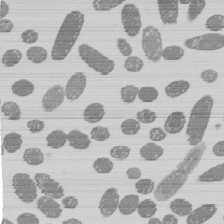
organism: E. coli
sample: Bacterial nucleoid